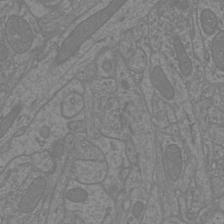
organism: Mouse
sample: Cortical neurons